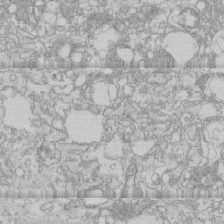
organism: Human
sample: CRL-1474